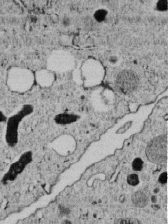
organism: C. elegans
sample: C. elegans embryo early stage